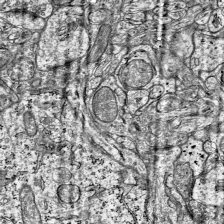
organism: Mouse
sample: Visual Cortex